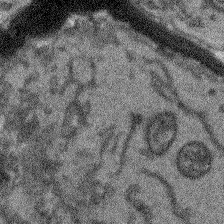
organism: Arabidopsis thaliana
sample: Root tip